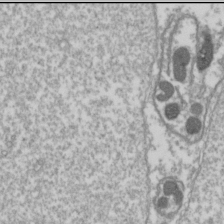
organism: Drosophila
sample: Cell division; meiosis; drosophila spermatocytes